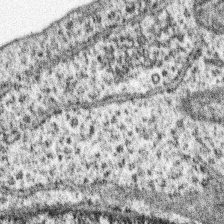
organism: Human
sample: HeLa cells